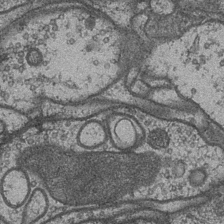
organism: Drosophila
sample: Optic medulla